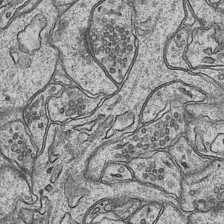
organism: Mouse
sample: CA1 Hippocampus